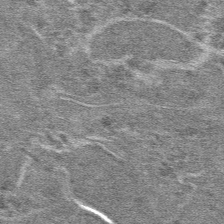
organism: Mouse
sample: Mouse hepatocytes